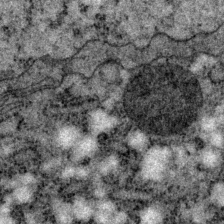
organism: P. pacificus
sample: Pharynx